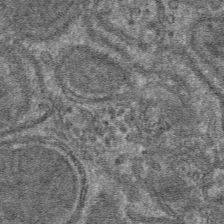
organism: Mouse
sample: Mouse hepatocytes